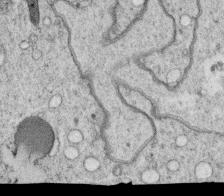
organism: C. elegans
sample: C. elegans oocyte; sperm cells